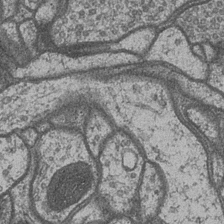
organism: Drosophila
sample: Optic medulla